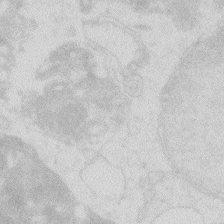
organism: Zebrafish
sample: Macrophage